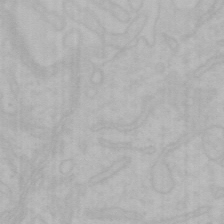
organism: Mouse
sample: Choroid plexus